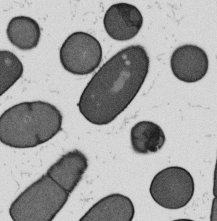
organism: B. subtilis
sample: Bacterial spore